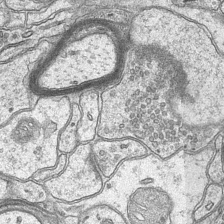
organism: Mouse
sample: CA1 Hippocampus